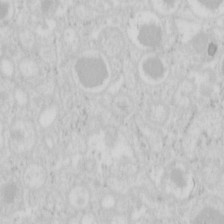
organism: Mouse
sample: Pancreas